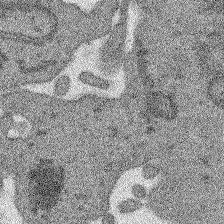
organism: Human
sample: HeLa cells